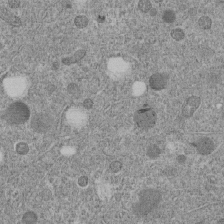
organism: C. elegans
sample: C. elegans embryo early stage